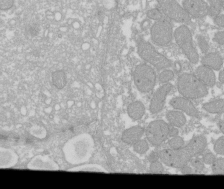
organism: Xenopus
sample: Cilia; centrioles in frog embryo cells